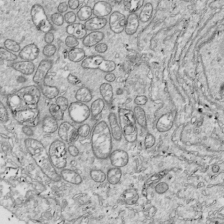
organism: Drosophila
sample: Cell division; meiosis; drosophila spermatocytes